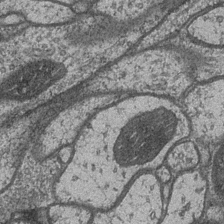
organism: Drosophila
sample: Optic medulla